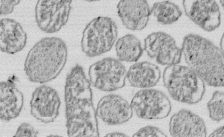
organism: E. coli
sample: Bacterial nucleoid